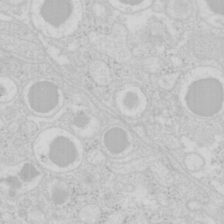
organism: Mouse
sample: Pancreas